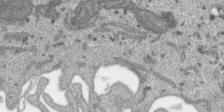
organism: Human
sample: Lung epithelial cells infected with SARS-CoV-2